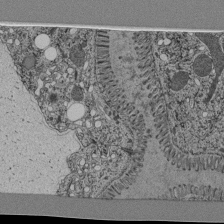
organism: C. elegans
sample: C. elegans pharynx